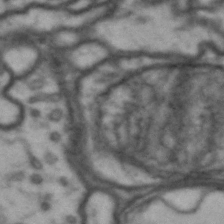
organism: Drosophila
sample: Brain